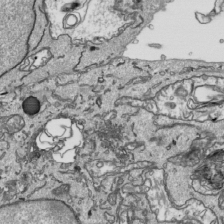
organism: Human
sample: Mitochondria in HCT116 cells